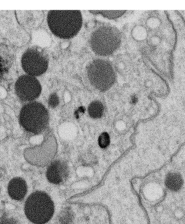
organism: C. elegans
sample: C. elegans oocyte; sperm cells